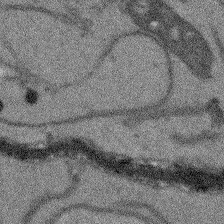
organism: Arabidopsis thaliana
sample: Root tip